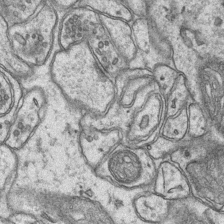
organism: Mouse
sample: CA1 Hippocampus